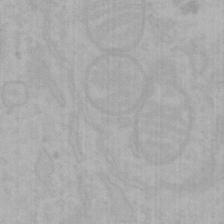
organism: Mouse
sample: Choroid plexus